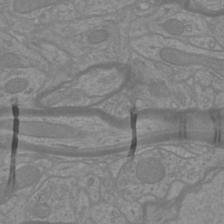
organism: Mouse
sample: Cortical neurons